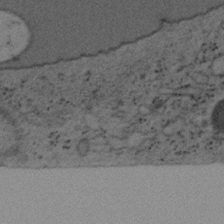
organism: Human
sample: HeLa cells